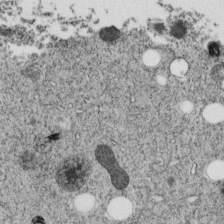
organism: C. elegans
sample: C. elegans embryo early stage